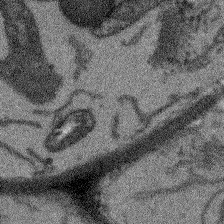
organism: Arabidopsis thaliana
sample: Root tip